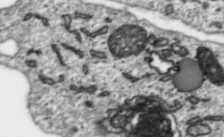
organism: Toxoplasma gondii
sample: Parasites in a vacuole inside a host cell